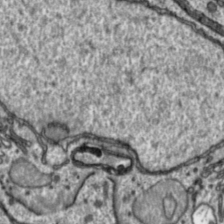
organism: Toxoplasma gondii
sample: Parasites in a vacuole inside a host cell